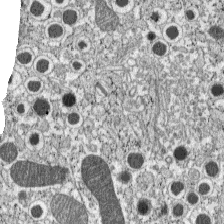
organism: C57BL Mouse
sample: Pancreatic islet